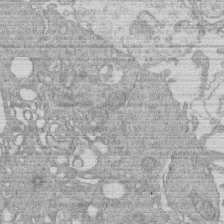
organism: Human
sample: Macrophage cells